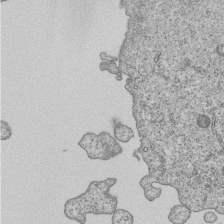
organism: Human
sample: MDA-MB-231 cells